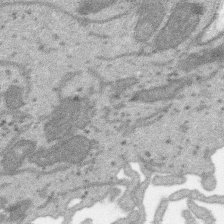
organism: Human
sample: Lung epithelial cells infected with SARS-CoV-2